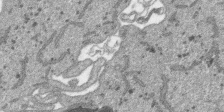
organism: Human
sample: Lung epithelial cells infected with SARS-CoV-2